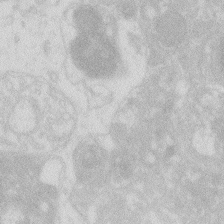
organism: Zebrafish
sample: Macrophage